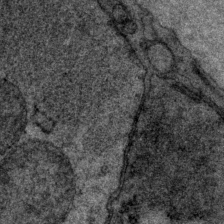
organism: P. pacificus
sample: Pharynx